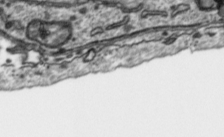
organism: Toxoplasma gondii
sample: Parasites in a vacuole inside a host cell